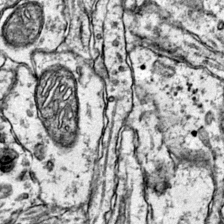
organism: Mouse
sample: Primary visual cortex